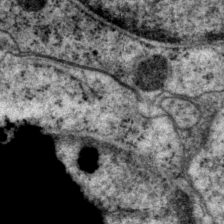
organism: P. pacificus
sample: Pharynx